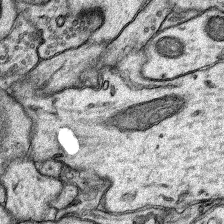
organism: Rat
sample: Hippocampus